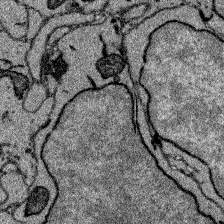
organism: Zebrafish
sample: Larval olfactory bulb